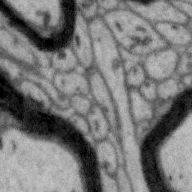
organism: Zebra finch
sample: Brain